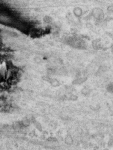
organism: Human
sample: Centriole in RPE cells